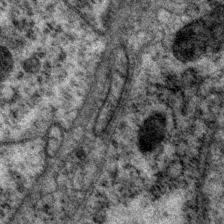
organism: P. pacificus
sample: Pharynx